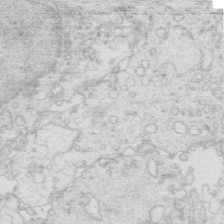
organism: Mouse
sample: Multiciliated cells